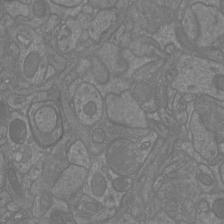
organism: Mouse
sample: Cortical neurons